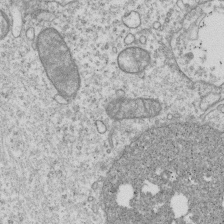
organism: Human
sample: MDA-MB-231 cells